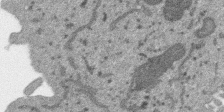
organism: Human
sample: Lung epithelial cells infected with SARS-CoV-2